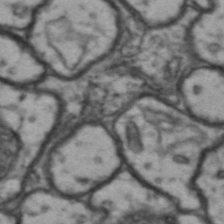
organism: Drosophila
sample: Brain